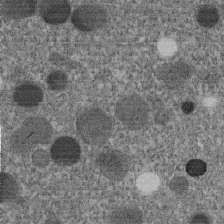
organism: C. elegans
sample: C. elegans embryo early stage